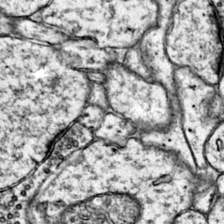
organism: Mouse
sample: Primary visual cortex